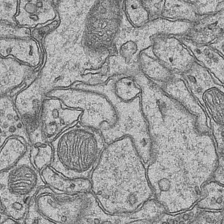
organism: Mouse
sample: CA1 Hippocampus